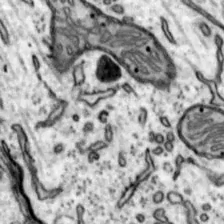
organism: Mouse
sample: Nucleus accumbens